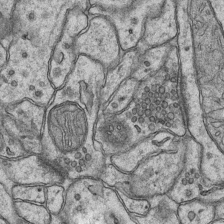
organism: Mouse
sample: CA1 Hippocampus